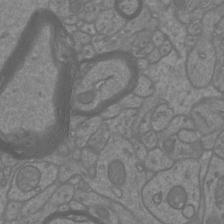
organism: Mouse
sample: Cortical neurons